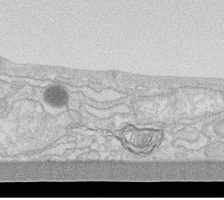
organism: Human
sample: Fibroblast cells